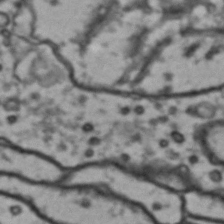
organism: Drosophila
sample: Brain